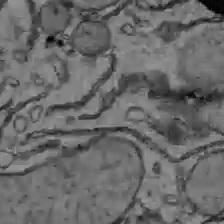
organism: C57BL Mouse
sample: Liver